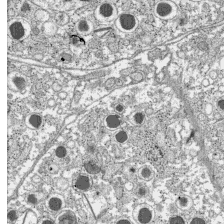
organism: C57BL Mouse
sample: Pancreatic islet